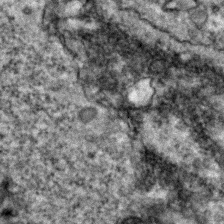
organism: Zebrafish